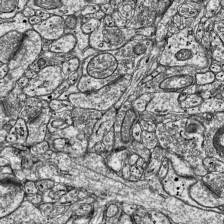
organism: Mouse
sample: Visual Cortex